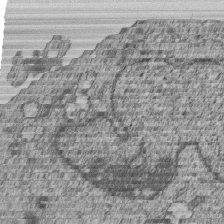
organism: Human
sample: MDA-MB-231 cells